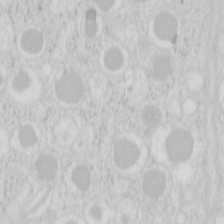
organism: Mouse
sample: Pancreas